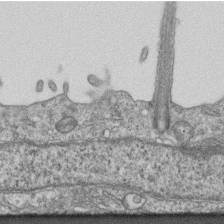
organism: Mouse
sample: Centriole in ependymal cells